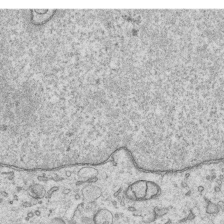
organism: Human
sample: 1205lu cells